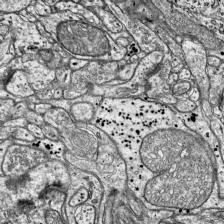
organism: Mouse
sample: Visual Cortex